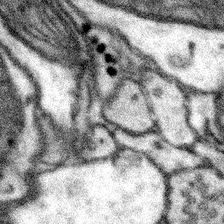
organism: Mouse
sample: Somatosensory cortex neuropil